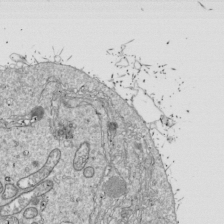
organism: Drosophila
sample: Cell division; meiosis; drosophila spermatocytes